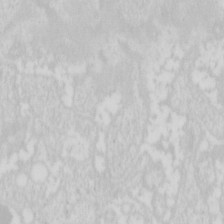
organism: Mouse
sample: Pancreas